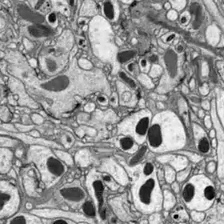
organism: Drosophila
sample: Optic lobe